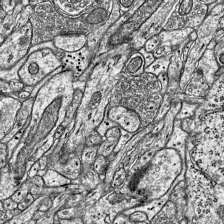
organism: Mouse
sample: Visual Cortex